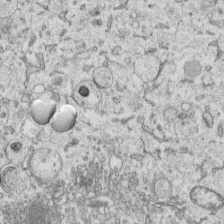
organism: Human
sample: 1205lu cells